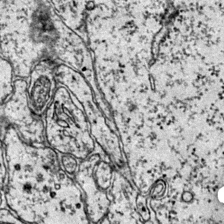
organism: Mouse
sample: Primary visual cortex